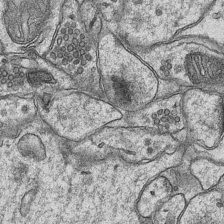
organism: Mouse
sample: CA1 Hippocampus